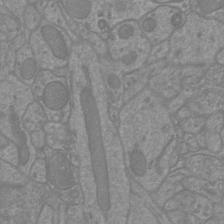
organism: Mouse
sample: Cortical neurons